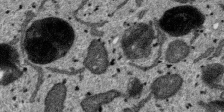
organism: Human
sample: Lung epithelial cells, uninfected (mock) control